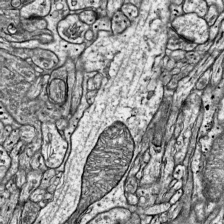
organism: Mouse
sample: Visual Cortex